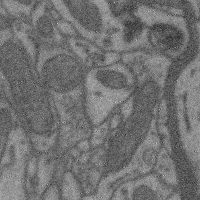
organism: Mouse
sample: Cerebral cortex